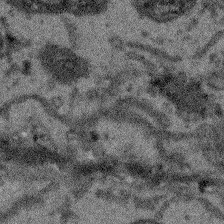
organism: Arabidopsis thaliana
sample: Root tip